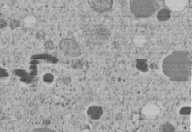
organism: C. elegans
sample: C. elegans embryo early stage